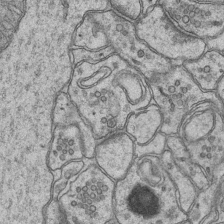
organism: Mouse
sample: CA1 Hippocampus